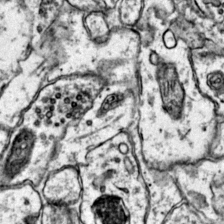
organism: Mouse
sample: Primary visual cortex